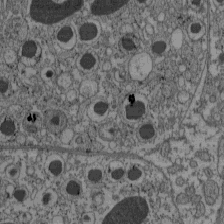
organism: C57BL Mouse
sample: Pancreatic islet